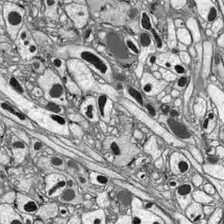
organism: Drosophila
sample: Optic lobe